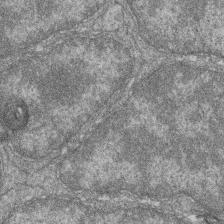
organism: Zebrafish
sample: Cilia; retinal pigment epithelium